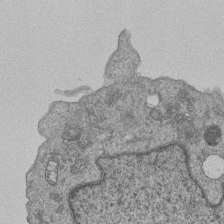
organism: Human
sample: MDA-MB-231 cells